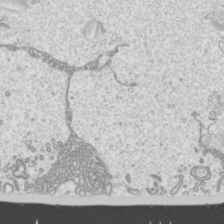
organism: Mouse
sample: Cilia; mouse epididymis